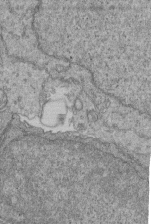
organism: Human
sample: Retinal organoid Rod and Cone cells